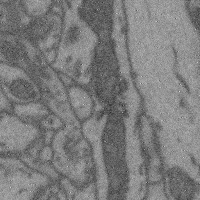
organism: Mouse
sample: Cerebral cortex